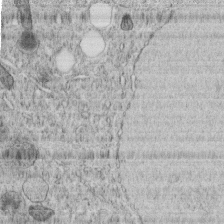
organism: C. elegans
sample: C. elegans embryo early stage